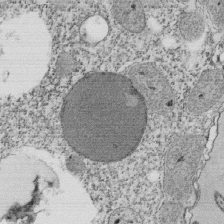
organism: Tetrahymena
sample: Cilia in tetrahymena